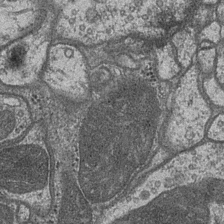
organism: Drosophila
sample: Optic medulla